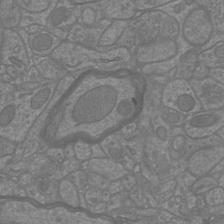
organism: Mouse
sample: Cortical neurons